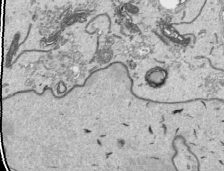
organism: Human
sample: Mitochondria in HCT116 cells